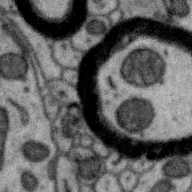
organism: Zebra finch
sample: Brain